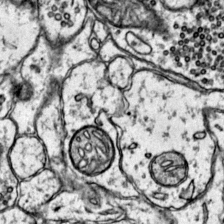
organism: Mouse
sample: Primary visual cortex